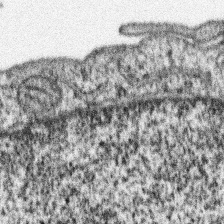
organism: Human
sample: HeLa cells